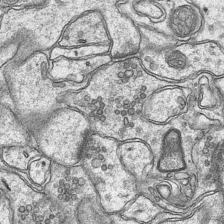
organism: Mouse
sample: CA1 Hippocampus